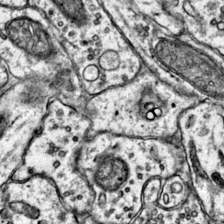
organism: Mouse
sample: Primary visual cortex